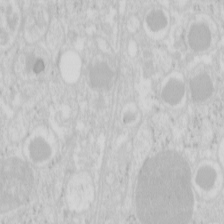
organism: Mouse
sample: Pancreas